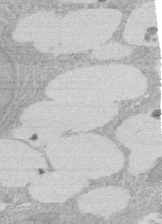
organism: Rat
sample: Salivary granule